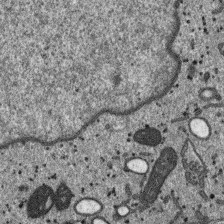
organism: Human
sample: Lung epithelial cells infected with SARS-CoV-2